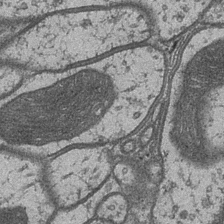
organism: Drosophila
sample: Optic medulla